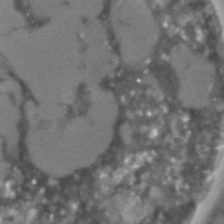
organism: C. elegans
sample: C. elegans embryo